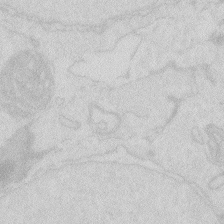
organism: Zebrafish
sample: Macrophage